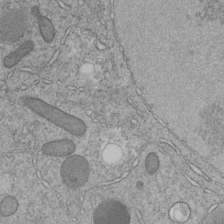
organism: C. elegans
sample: C. elegans embryo early stage